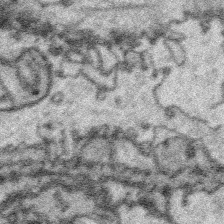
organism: Platynereis dumerilii